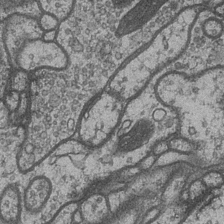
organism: Drosophila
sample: Optic medulla